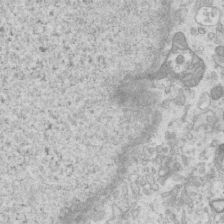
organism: Mouse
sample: Centriole in ependymal cells